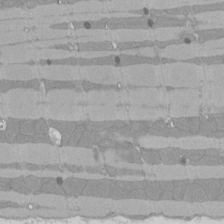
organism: Rat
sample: Left ventricle